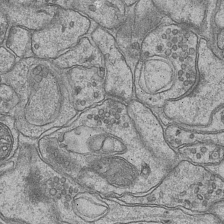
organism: Mouse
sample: CA1 Hippocampus